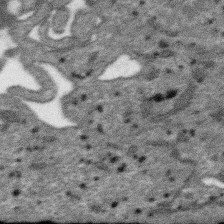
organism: Human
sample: Lung epithelial cells infected with SARS-CoV-2